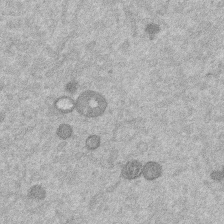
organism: Mouse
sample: Dividing mouse embryo 1 cell stage